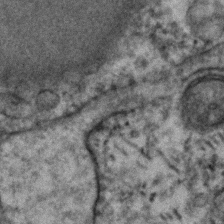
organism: Human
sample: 1205lu cells